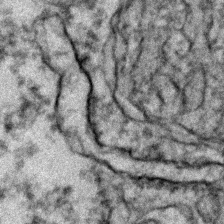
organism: Zebrafish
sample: Zebrafish embryo